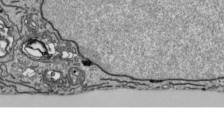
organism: Human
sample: Mitochondria in HCT116 cells